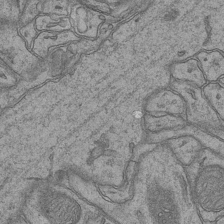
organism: Mouse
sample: CA1 Hippocampus